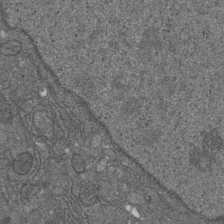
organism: Drosophila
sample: Nephrocyte